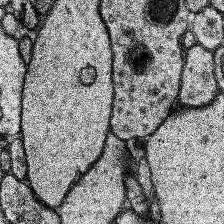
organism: Human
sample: Temporal Lobe